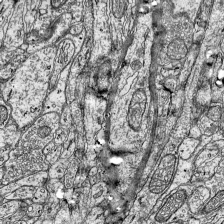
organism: Mouse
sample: Visual Cortex